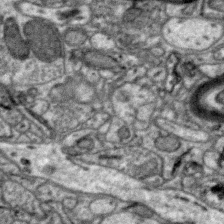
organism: Zebra finch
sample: Brain